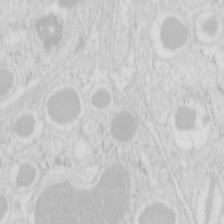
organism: Mouse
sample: Pancreas